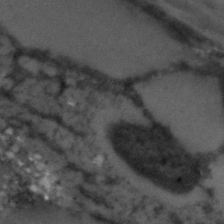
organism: C. elegans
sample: C. elegans embryo